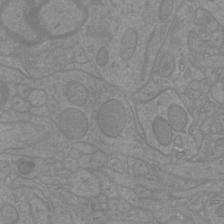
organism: Mouse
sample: Cortical neurons